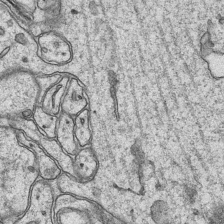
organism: Mouse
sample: CA1 Hippocampus